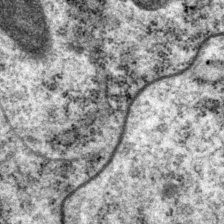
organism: P. pacificus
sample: Pharynx